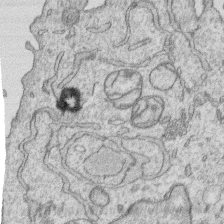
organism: Human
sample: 1205lu cells